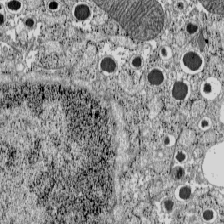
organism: C57BL Mouse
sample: Pancreatic islet